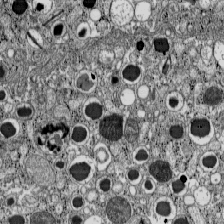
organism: C57BL Mouse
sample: Pancreatic islet